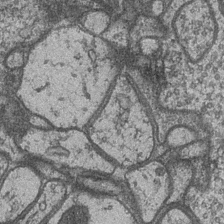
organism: Drosophila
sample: Optic medulla